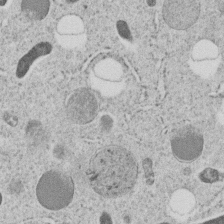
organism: C. elegans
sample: C. elegans embryo early stage